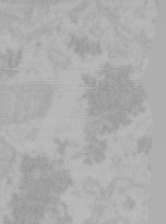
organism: Mouse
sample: Choroid plexus